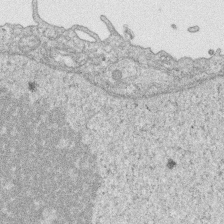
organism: Human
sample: HeLa cell HIV synapse